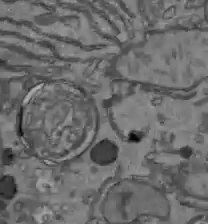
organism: C57BL Mouse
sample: Liver